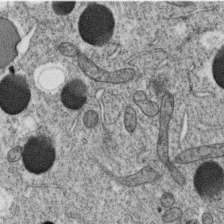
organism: C. elegans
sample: C. elegans oocyte; sperm cells